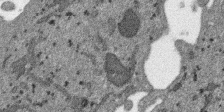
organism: Human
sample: Lung epithelial cells infected with SARS-CoV-2